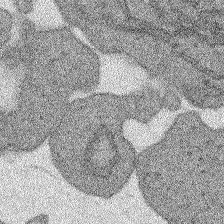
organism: Human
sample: HeLa cells